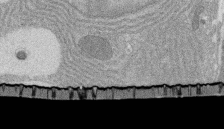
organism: Rat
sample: Salivary granule